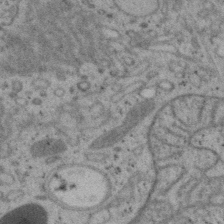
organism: Human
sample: HeLa cells